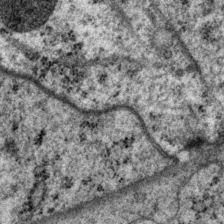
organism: P. pacificus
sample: Pharynx